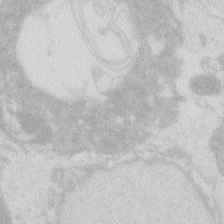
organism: Zebrafish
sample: Macrophage